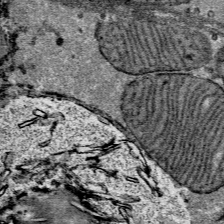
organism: Mouse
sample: Mouse Salivary gland